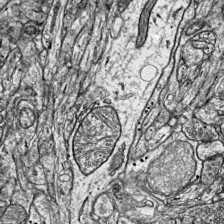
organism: Mouse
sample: Visual Cortex